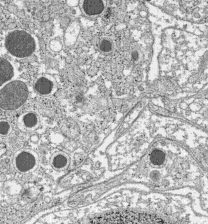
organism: C57BL Mouse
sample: Pancreatic islet